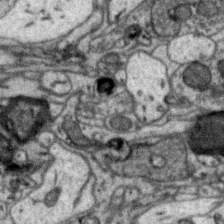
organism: Zebra finch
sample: Brain